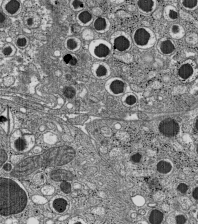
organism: C57BL Mouse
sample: Pancreatic islet